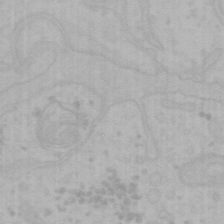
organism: Mouse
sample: Choroid plexus